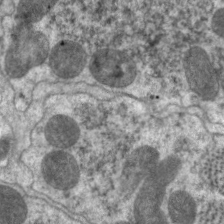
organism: C. elegans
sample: Pharynx